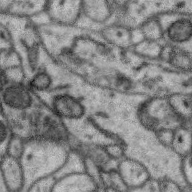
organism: Zebra finch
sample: Brain